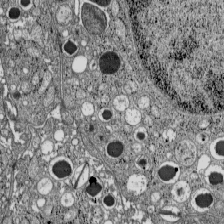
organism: C57BL Mouse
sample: Pancreatic islet